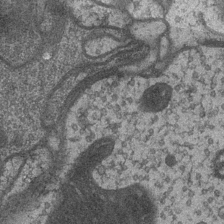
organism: Drosophila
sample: Optic medulla